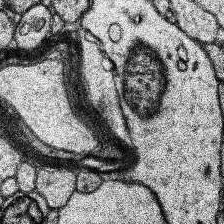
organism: Human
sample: Temporal Lobe